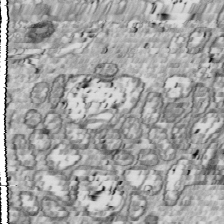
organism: Drosophila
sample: Cell division; meiosis; drosophila spermatocytes